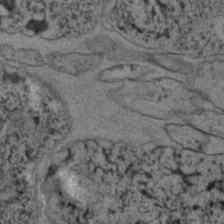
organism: C. elegans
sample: C. elegans embryo